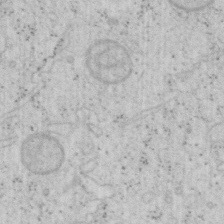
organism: Human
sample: HeLa cells